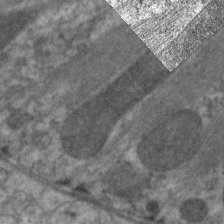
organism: C. elegans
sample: Pharynx